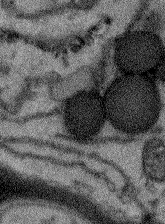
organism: Arabidopsis thaliana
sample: Root tip